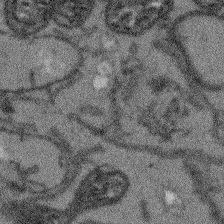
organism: Arabidopsis thaliana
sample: Root tip